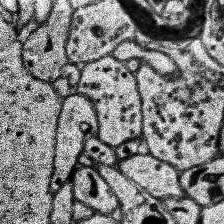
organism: Human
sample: Temporal Lobe